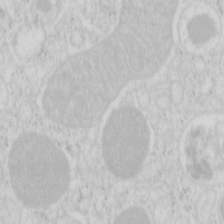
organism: Mouse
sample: Pancreas